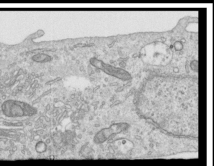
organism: Human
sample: Centriole in RPE cells